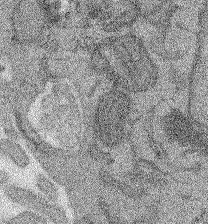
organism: Human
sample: HeLa cells